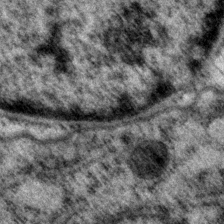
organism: P. pacificus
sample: Pharynx